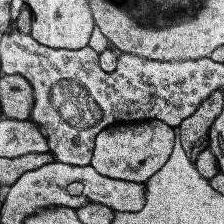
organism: Human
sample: Temporal Lobe